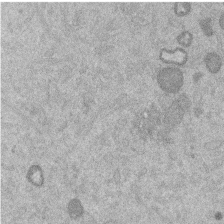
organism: Mouse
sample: Dividing mouse embryo 1 cell stage